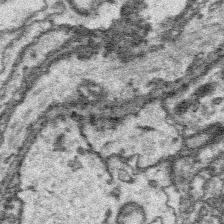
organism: Platynereis dumerilii